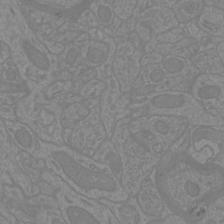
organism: Mouse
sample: Cortical neurons